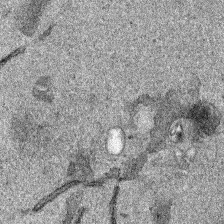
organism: Human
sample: Mitochondria in HCT116 cells